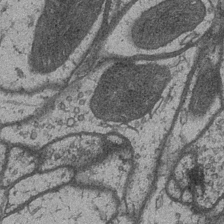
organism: Drosophila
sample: Optic medulla